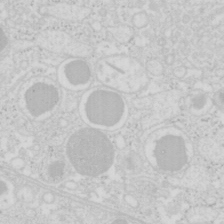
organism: Mouse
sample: Pancreas